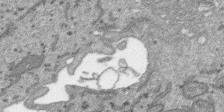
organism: Human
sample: Lung epithelial cells infected with SARS-CoV-2